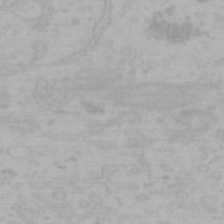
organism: Mouse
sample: Choroid plexus